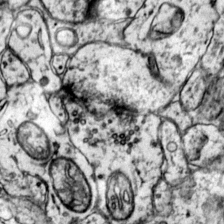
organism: Mouse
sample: Primary visual cortex